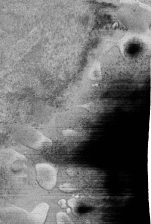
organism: Human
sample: Retinal organoid Rod and Cone cells